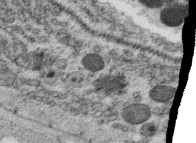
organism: C. elegans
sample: C. elegans oocyte; sperm cells